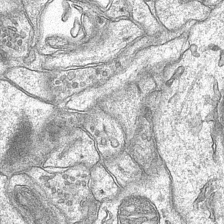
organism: Mouse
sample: CA1 Hippocampus